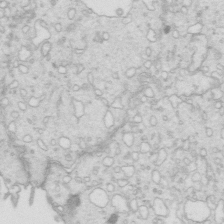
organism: Mouse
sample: Multiciliated cells